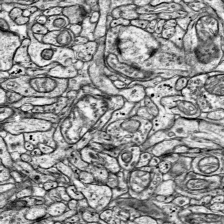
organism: Mouse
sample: Visual Cortex